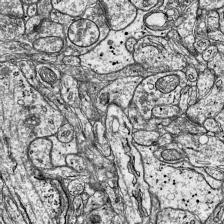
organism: Mouse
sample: Visual Cortex